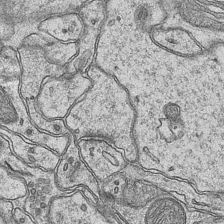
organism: Mouse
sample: CA1 Hippocampus